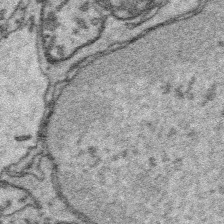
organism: Platynereis dumerilii